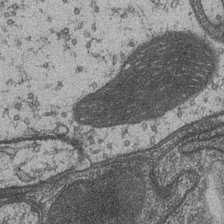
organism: Drosophila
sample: Optic medulla